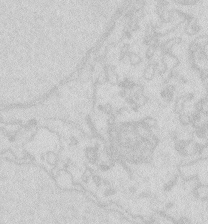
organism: Zebrafish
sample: Macrophage